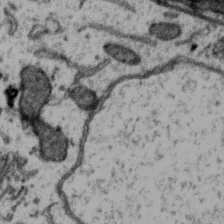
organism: Zebra finch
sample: Brain